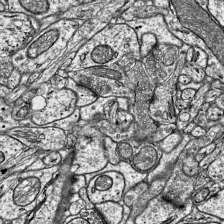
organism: Mouse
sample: Visual Cortex